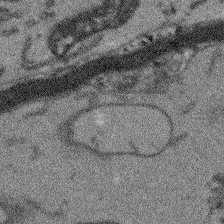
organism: Arabidopsis thaliana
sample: Root tip